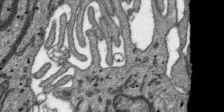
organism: Human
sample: Lung epithelial cells, uninfected (mock) control